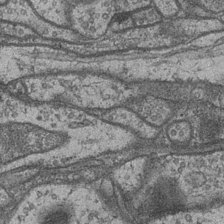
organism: Drosophila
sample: Optic medulla